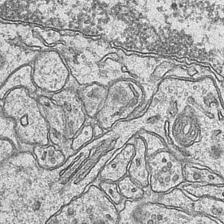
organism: Mouse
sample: CA1 Hippocampus